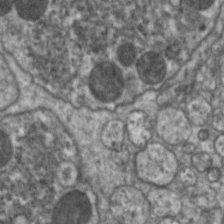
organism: C. elegans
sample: Pharynx